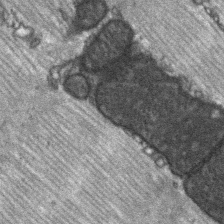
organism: C57BL Mouse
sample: Soleus